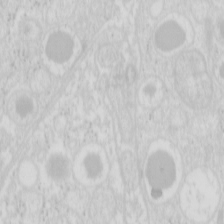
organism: Mouse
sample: Pancreas